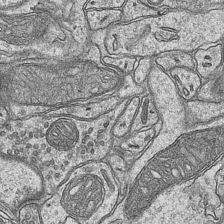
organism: Mouse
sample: CA1 Hippocampus